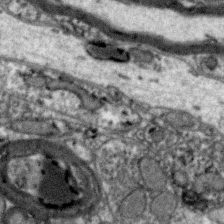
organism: Zebra finch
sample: Brain